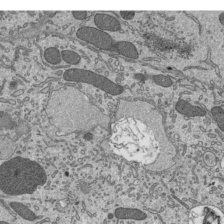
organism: Mouse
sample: Mouse epididymis efferent ductule cilia